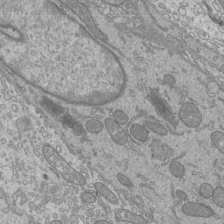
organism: Mouse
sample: Cilia; mouse epididymis